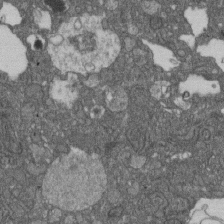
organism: Drosophila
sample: Nephrocyte